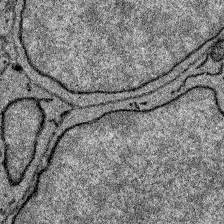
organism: Zebrafish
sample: Larval olfactory bulb